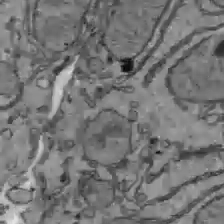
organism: C57BL Mouse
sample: Liver